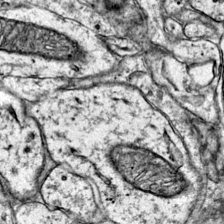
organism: Mouse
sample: Primary visual cortex